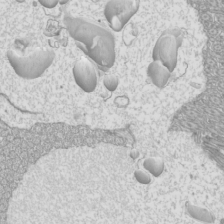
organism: Mouse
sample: Cilia; mouse epididymis